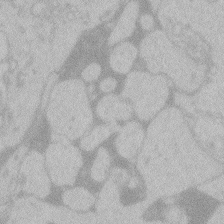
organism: Zebrafish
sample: Macrophage infected with Toxoplasma gondii